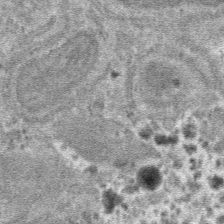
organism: Mouse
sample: Mouse hepatocytes